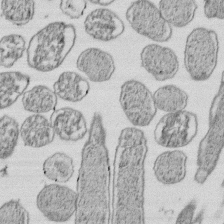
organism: E. coli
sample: Bacterial nucleoid